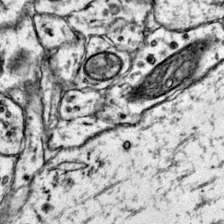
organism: Mouse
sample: Primary visual cortex